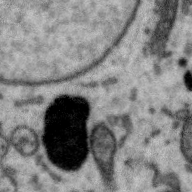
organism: Zebra finch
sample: Brain